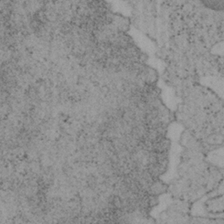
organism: Mouse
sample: OT-I killer T cells with ID8 ovarian cancer cells